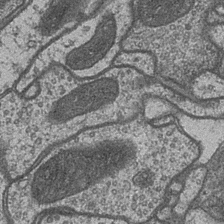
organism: Drosophila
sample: Optic medulla